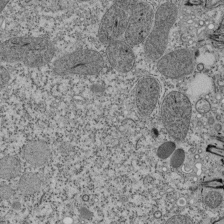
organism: Tetrahymena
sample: Cilia in tetrahymena